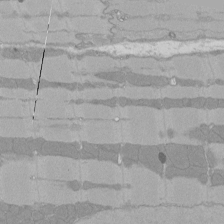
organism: Rat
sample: Left ventricle